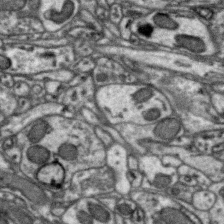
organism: Zebra finch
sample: Brain